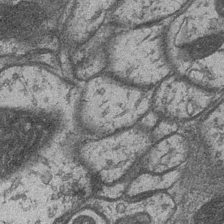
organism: Drosophila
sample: Optic medulla